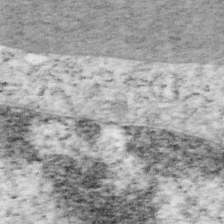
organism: Mouse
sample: OT-I killer T cells with ID8 ovarian cancer cells